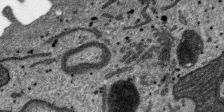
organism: Human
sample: Lung epithelial cells, uninfected (mock) control